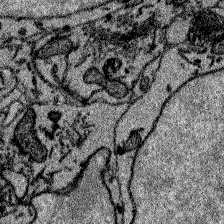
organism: Zebrafish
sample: Larval olfactory bulb